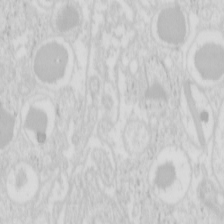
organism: Mouse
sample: Pancreas